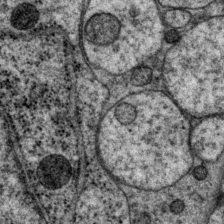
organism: P. pacificus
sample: Pharynx